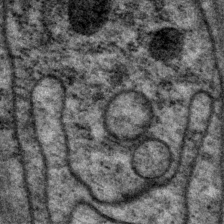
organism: P. pacificus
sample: Pharynx